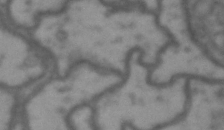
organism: Drosophila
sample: Brain